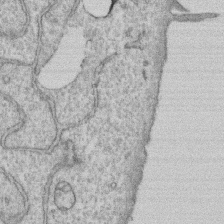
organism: Human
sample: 1205lu cells